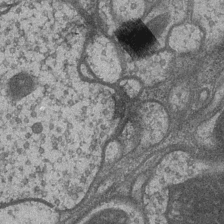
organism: Drosophila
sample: Optic medulla